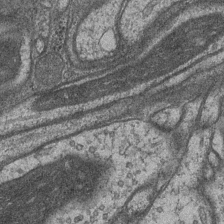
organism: Drosophila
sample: Optic medulla